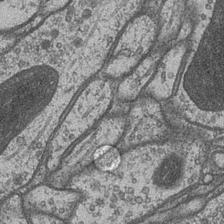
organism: Drosophila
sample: Optic medulla